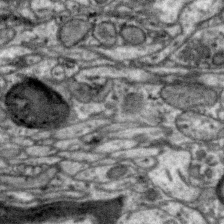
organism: Zebra finch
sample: Brain